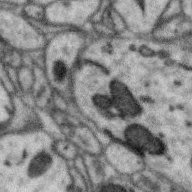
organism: Zebra finch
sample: Brain